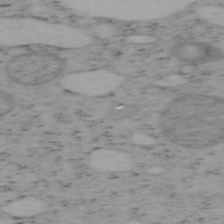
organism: Mouse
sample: OT-I killer T cells with ID8 ovarian cancer cells